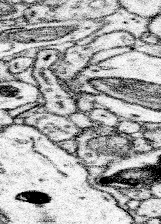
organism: Mouse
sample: Somatosensory cortex neuropil